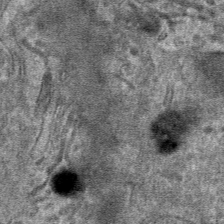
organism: Mouse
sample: Mouse hepatocytes